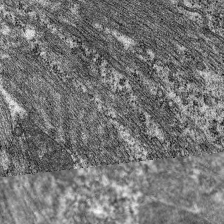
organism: C. elegans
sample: Pharynx